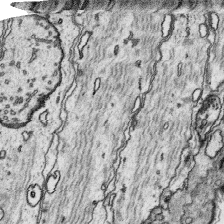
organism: Platynereis dumerilii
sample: Parapodia